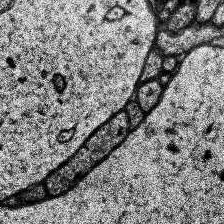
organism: Human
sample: Temporal Lobe